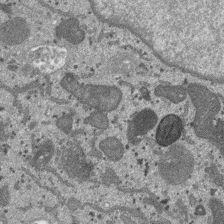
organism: Human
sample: Lung epithelial cells infected with SARS-CoV-2